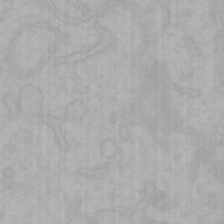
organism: Mouse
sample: Choroid plexus